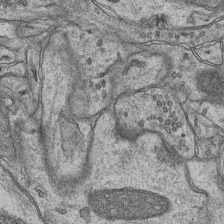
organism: Mouse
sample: CA1 Hippocampus